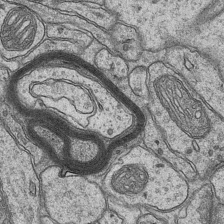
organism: Mouse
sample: CA1 Hippocampus